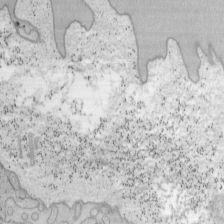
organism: Mouse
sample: OT-I killer T cells with ID8 ovarian cancer cells